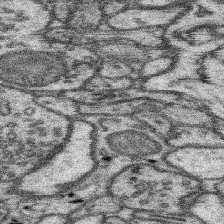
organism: Mouse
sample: Somatosensory cortex neuropil